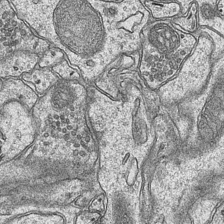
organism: Mouse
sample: CA1 Hippocampus